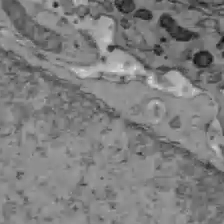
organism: C57BL Mouse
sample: Liver